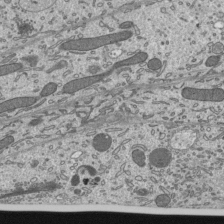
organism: Mouse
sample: Mouse epididymis efferent ductule cilia